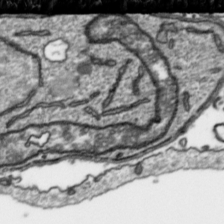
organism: Toxoplasma gondii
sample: Parasites in a vacuole inside a host cell